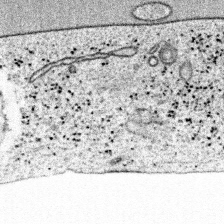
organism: Human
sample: HeLa cells